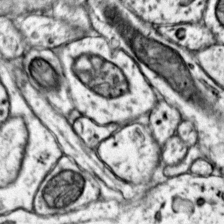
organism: Mouse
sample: Primary visual cortex